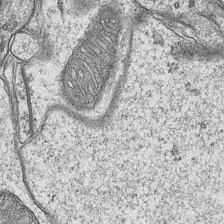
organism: Mouse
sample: CA1 Hippocampus